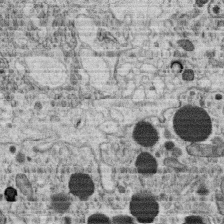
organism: C. elegans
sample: C. elegans oocyte; sperm cells